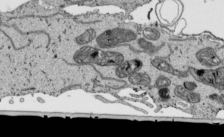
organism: Human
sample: Mitochondria in HCT116 cells